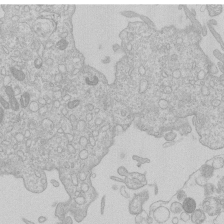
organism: Human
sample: Macrophage cells